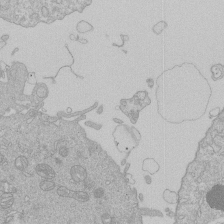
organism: Human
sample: Macrophage cells